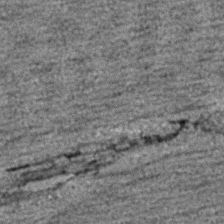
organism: C. elegans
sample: C. elegans embryo